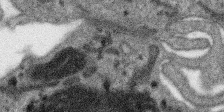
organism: Human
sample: Lung epithelial cells infected with SARS-CoV-2